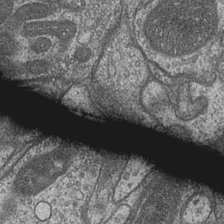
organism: Drosophila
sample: Optic medulla